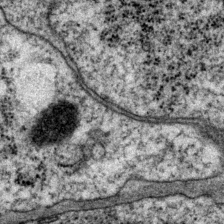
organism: P. pacificus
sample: Pharynx